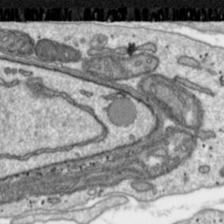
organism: Toxoplasma gondii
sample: Parasites in a vacuole inside a host cell